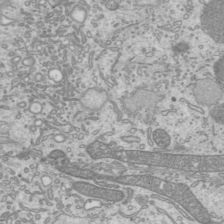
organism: Mouse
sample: Cilia; mouse epididymis